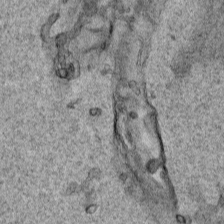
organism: Human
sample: Mitochondria in HCT116 cells